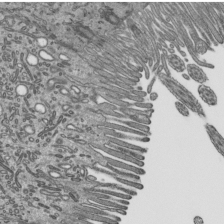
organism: Mouse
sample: Mouse epididymis efferent ductule cilia